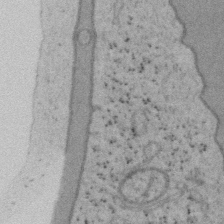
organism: Human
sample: HeLa cells